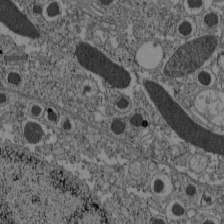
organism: C57BL Mouse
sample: Pancreatic islet